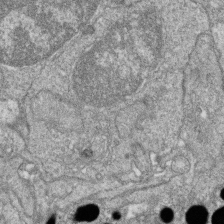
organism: Zebrafish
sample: Cilia; retinal pigment epithelium